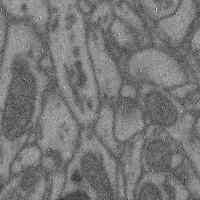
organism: Mouse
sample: Cerebral cortex